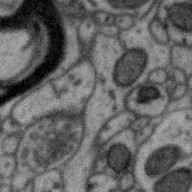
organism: Zebra finch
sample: Brain